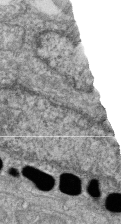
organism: Zebrafish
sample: Cilia; retinal pigment epithelium